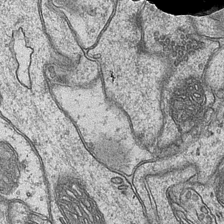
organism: Mouse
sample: CA1 Hippocampus